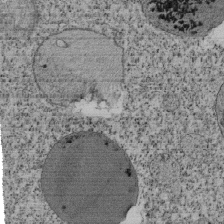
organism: Tetrahymena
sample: Cilia in tetrahymena